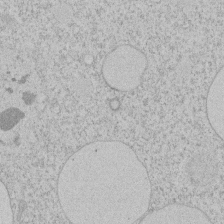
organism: Tetrahymena